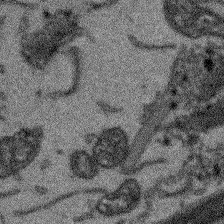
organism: Arabidopsis thaliana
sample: Root tip